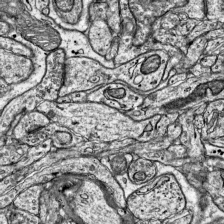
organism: Mouse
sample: Visual Cortex